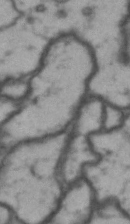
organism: Drosophila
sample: Brain